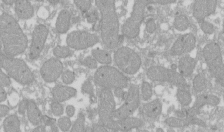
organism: Xenopus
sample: Cilia; centrioles in frog embryo cells